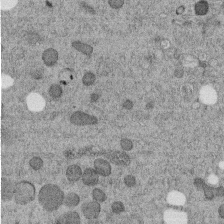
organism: C. elegans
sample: C. elegans embryo early stage